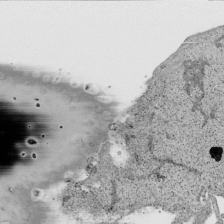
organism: Human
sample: Mitochondria in HCT116 cells